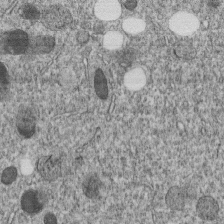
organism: C. elegans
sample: C. elegans embryo early stage